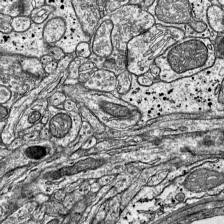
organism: Mouse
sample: Visual Cortex